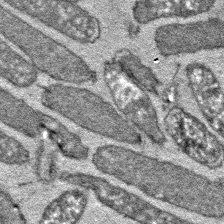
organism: E. coli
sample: E. Coli Bacteria